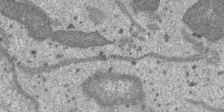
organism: Human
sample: Lung epithelial cells infected with SARS-CoV-2